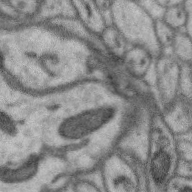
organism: Zebra finch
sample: Brain